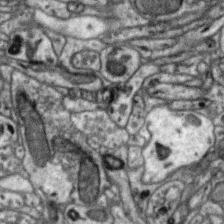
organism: Zebra finch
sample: Brain